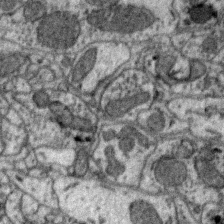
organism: Zebra finch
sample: Brain